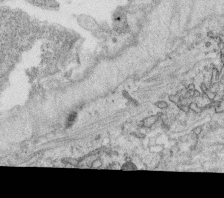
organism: C. elegans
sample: C. elegans oocyte; sperm cells